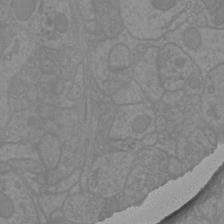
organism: Mouse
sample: Cortical neurons